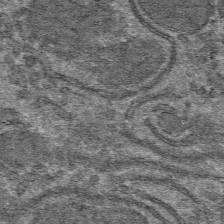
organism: Mouse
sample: Mouse hepatocytes